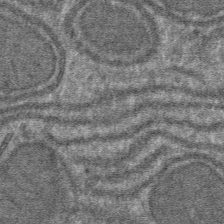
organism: Mouse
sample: Mouse hepatocytes